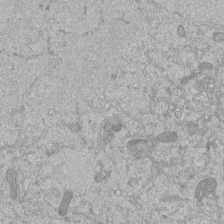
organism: Mouse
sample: ED-1 cell nuclei; centrioles